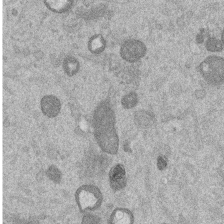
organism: Mouse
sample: Dividing mouse embryo 1 cell stage